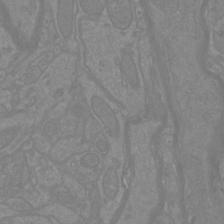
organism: Mouse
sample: Cortical neurons